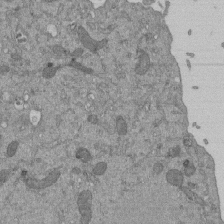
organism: Mouse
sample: ED-1 cell nuclei; centrioles